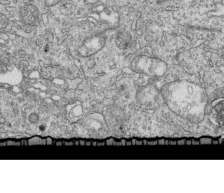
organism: Human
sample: HeLa cell HIV synapse